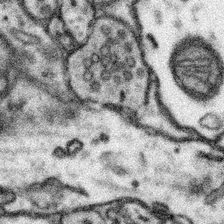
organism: Mouse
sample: Somatosensory cortex neuropil